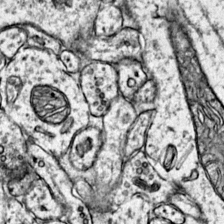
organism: Mouse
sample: Primary visual cortex